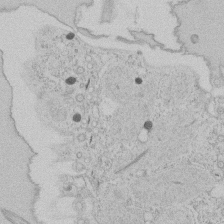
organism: Tetrahymena